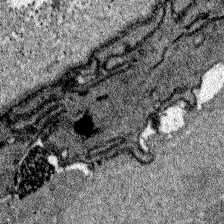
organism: Zebrafish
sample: Larval olfactory bulb